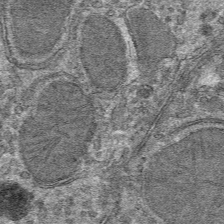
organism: Mouse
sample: Mouse hepatocytes